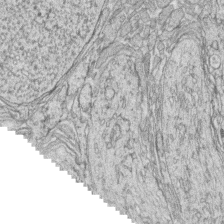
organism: Zebrafish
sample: synaptic ribbons in rod cells and cone cells